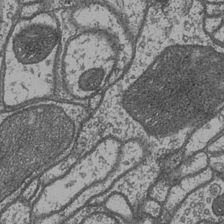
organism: Drosophila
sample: Optic medulla